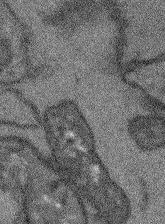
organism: Arabidopsis thaliana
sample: Root tip